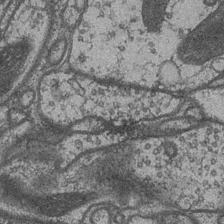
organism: Drosophila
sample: Optic medulla